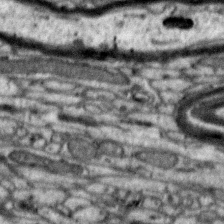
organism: Zebra finch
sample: Brain